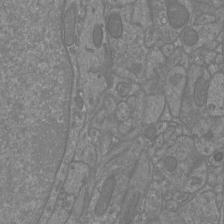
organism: Mouse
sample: Cortical neurons